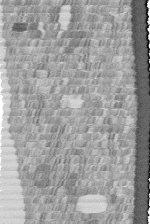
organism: Human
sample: Centriole in fibroblast cells